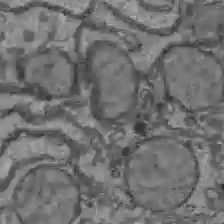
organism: C57BL Mouse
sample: Liver